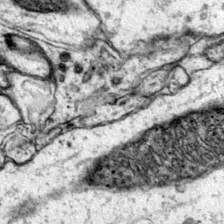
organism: Mouse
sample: Primary visual cortex